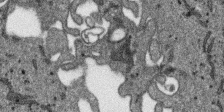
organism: Human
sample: Lung epithelial cells infected with SARS-CoV-2